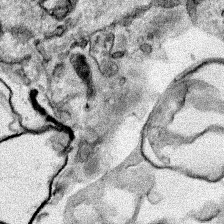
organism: Human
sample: Mitochondria in HCT116 cells